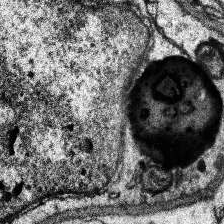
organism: Human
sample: Temporal Lobe